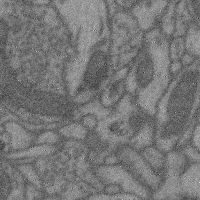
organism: Mouse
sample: Cerebral cortex